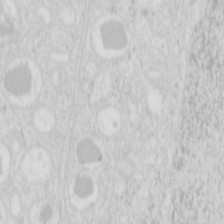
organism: Mouse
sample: Pancreas